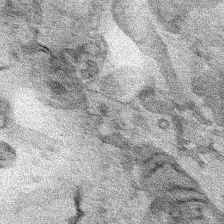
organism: Human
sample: Mitochondria in HCT116 cells